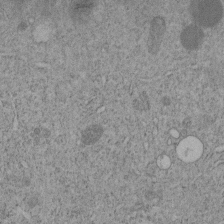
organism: C. elegans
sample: C. elegans embryo early stage